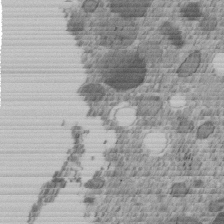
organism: C. elegans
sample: C. elegans embryo early stage